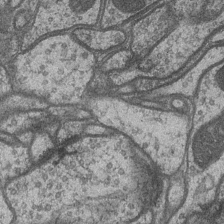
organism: Drosophila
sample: Optic medulla